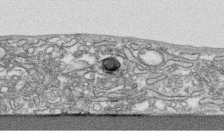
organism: Human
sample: CRL-1474